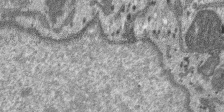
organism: Human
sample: Lung epithelial cells infected with SARS-CoV-2